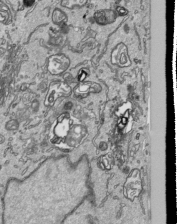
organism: Human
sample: Mitochondria in HCT116 cells